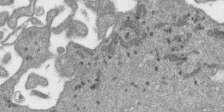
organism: Human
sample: Lung epithelial cells infected with SARS-CoV-2